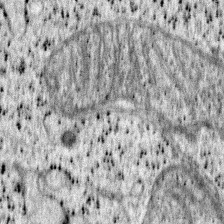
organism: Human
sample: HeLa cells